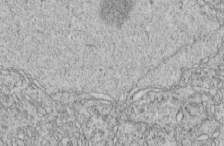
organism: C. elegans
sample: C. elegans embryo early stage